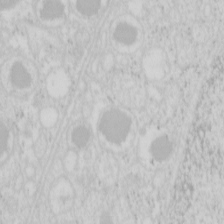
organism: Mouse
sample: Pancreas